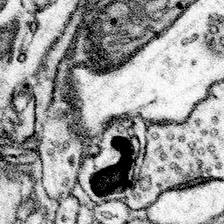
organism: Mouse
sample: Somatosensory cortex neuropil